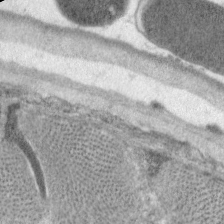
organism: C. elegans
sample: Pharynx